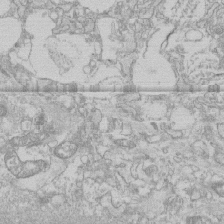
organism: Human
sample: CRL-1474